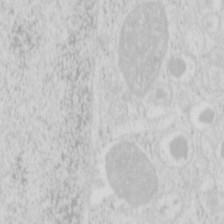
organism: Mouse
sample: Pancreas